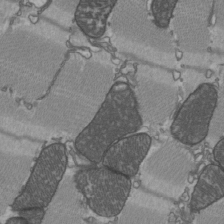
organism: C57BL Mouse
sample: Heart